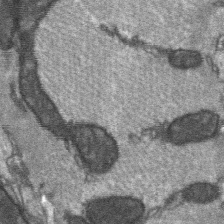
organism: C57BL Mouse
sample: Soleus